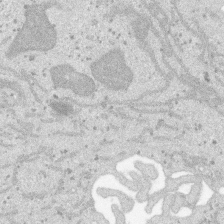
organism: Human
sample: Lung epithelial cells infected with SARS-CoV-2